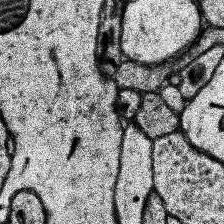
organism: Human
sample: Temporal Lobe